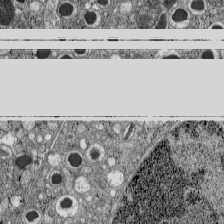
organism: C57BL Mouse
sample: Pancreatic islet